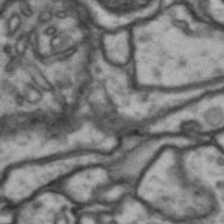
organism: Drosophila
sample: Brain